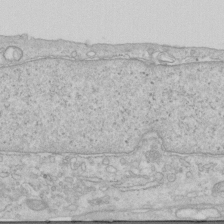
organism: Human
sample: Centriole in RPE cells